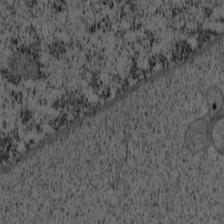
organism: African green monkey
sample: COS-7 cells